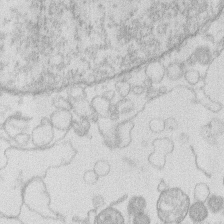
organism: Human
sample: Macrophage cells